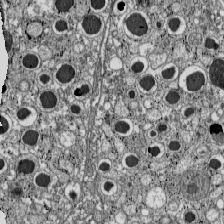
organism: C57BL Mouse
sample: Pancreatic islet